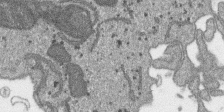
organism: Human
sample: Lung epithelial cells infected with SARS-CoV-2